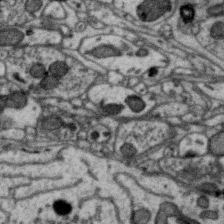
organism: Zebra finch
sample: Brain